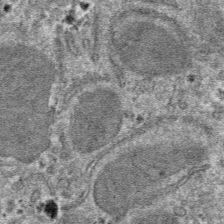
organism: Mouse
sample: Mouse hepatocytes